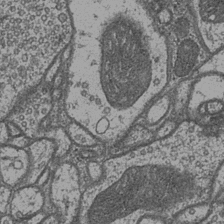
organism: Drosophila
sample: Optic medulla